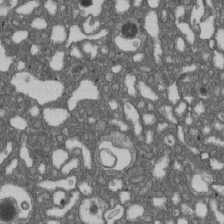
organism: Drosophila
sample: Nephrocyte